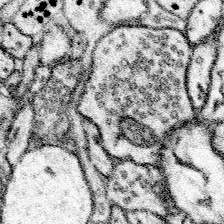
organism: Mouse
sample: Somatosensory cortex neuropil